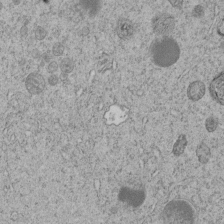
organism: C. elegans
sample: C. elegans embryo early stage